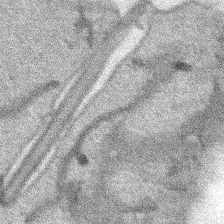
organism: Human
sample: Mitochondria in HCT116 cells